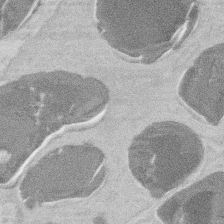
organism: Mouse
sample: T cell stromal cell synapse